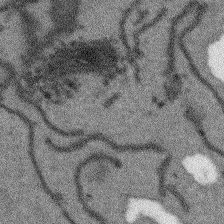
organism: Arabidopsis thaliana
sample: Root tip